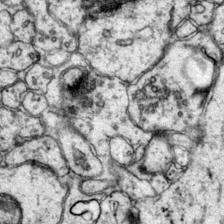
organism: Mouse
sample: Primary visual cortex